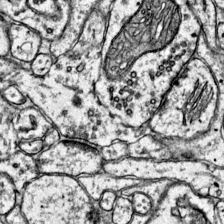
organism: Mouse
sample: Primary visual cortex